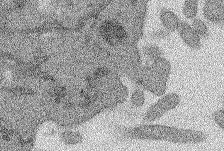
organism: Human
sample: HeLa cells